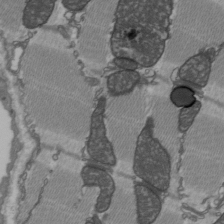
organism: C57BL Mouse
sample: Heart